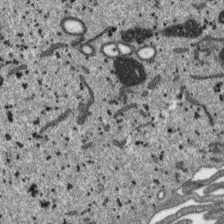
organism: Human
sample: Lung epithelial cells infected with SARS-CoV-2